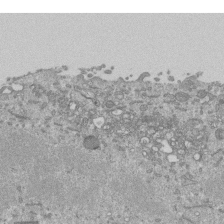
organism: Mouse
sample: ED-1 cell nuclei; centrioles